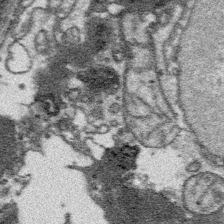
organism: Platynereis dumerilii